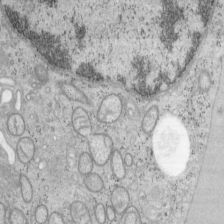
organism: Mouse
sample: OT-I killer T cells with ID8 ovarian cancer cells